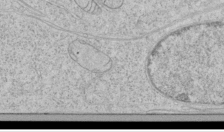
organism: Human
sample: Mitochondria in HCT116 cells